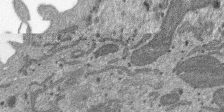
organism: Human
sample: Lung epithelial cells infected with SARS-CoV-2